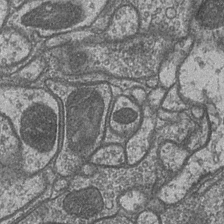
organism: Drosophila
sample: Optic medulla